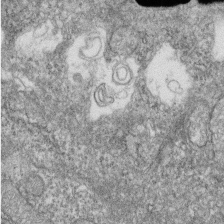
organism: Zebrafish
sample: Cilia; retinal pigment epithelium